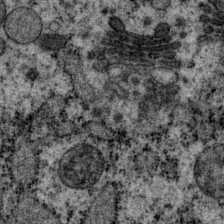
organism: P. pacificus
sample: Pharynx